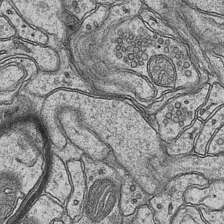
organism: Mouse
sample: CA1 Hippocampus